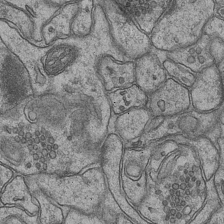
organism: Mouse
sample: CA1 Hippocampus